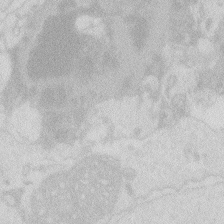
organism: Zebrafish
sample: Macrophage